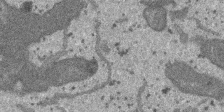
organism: Human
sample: Lung epithelial cells infected with SARS-CoV-2